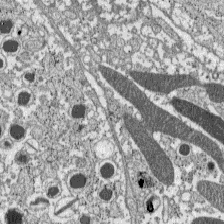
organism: C57BL Mouse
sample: Pancreatic islet